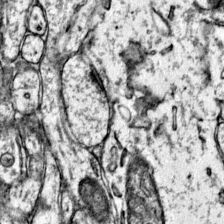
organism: Mouse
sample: Primary visual cortex